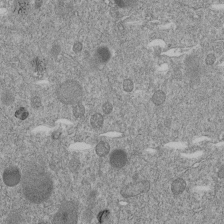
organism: C. elegans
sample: C. elegans embryo early stage